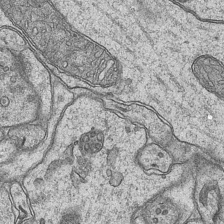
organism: Mouse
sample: CA1 Hippocampus